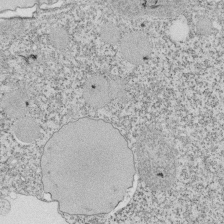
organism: Tetrahymena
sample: Cilia in tetrahymena